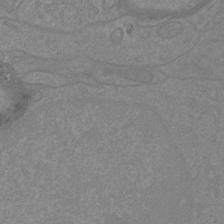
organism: Mouse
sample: Cortical neurons